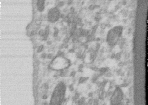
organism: Human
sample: Centriole in RPE cells